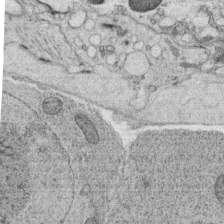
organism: C. elegans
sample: C. elegans oocyte; sperm cells